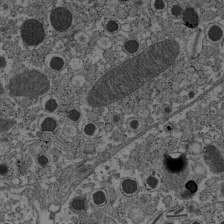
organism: C57BL Mouse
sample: Pancreatic islet